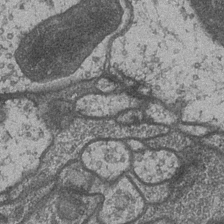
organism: Drosophila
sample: Optic medulla